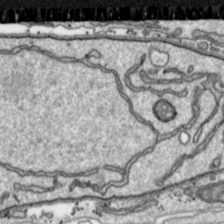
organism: Toxoplasma gondii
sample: Parasites in a vacuole inside a host cell